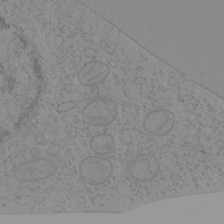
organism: Human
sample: HeLa cells